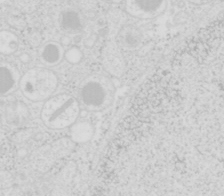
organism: Mouse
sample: Pancreas